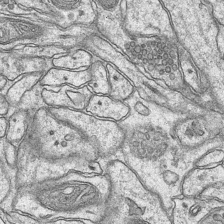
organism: Mouse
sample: CA1 Hippocampus